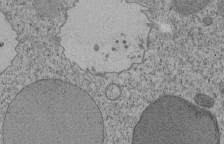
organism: Tetrahymena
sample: Cilia in tetrahymena